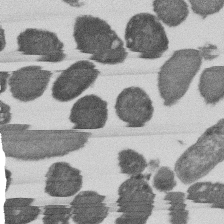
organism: E. coli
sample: Bacterial nucleoid